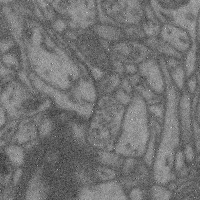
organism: Mouse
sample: Cerebral cortex